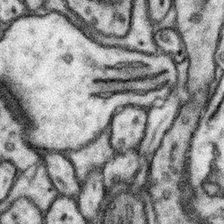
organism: Mouse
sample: Somatosensory cortex neuropil